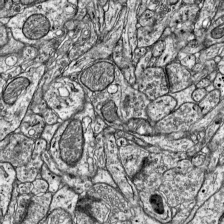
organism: Mouse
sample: Visual Cortex